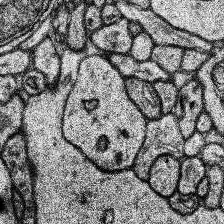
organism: Human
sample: Temporal Lobe